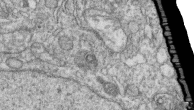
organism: Human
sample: HeLa cell HIV synapse